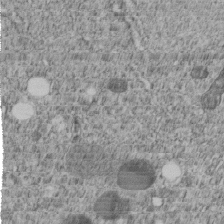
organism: C. elegans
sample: C. elegans embryo early stage